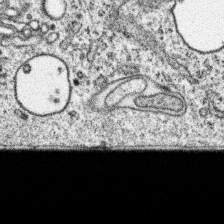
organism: Human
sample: HeLa cells